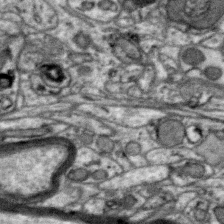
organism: Zebra finch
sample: Brain